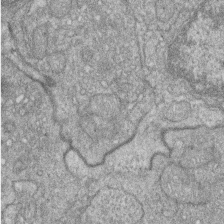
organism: Zebrafish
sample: Cilia; retinal pigment epithelium